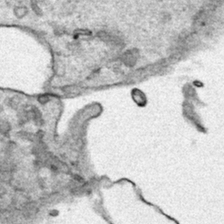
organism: Human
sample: Mitochondria in HCT116 cells